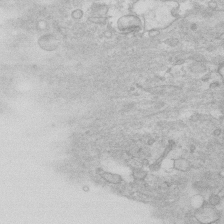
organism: Human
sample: Fibroblast cells